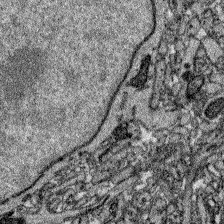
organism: Zebrafish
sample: Larval olfactory bulb